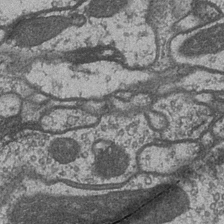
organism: Drosophila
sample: Optic medulla